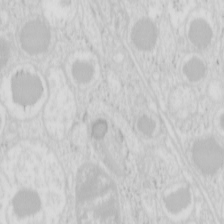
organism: Mouse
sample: Pancreas